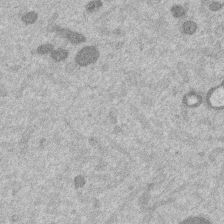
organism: Mouse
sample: Dividing mouse embryo 1 cell stage